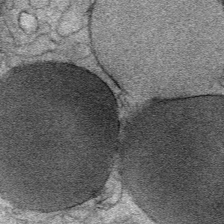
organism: Mouse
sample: Mouse Salivary gland